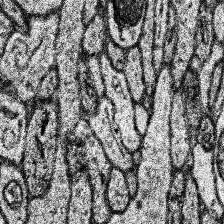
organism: Human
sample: Temporal Lobe